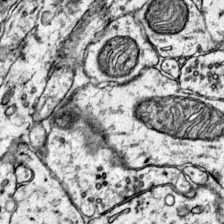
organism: Mouse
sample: Primary visual cortex